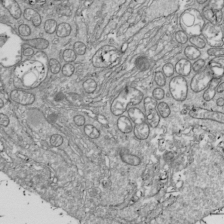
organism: Drosophila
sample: Cell division; meiosis; drosophila spermatocytes